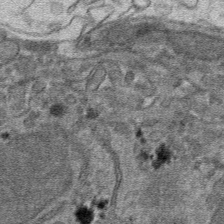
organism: Mouse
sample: Mouse hepatocytes